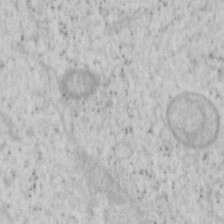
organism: Human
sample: HeLa cells